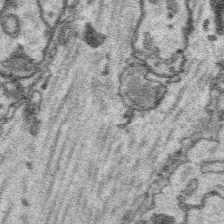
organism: Platynereis dumerilii